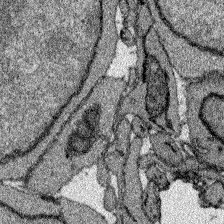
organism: Zebrafish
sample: Larval olfactory bulb